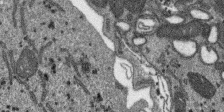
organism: Human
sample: Lung epithelial cells infected with SARS-CoV-2